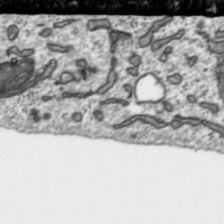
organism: Toxoplasma gondii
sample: Parasites in a vacuole inside a host cell